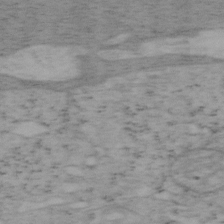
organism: Mouse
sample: OT-I killer T cells with ID8 ovarian cancer cells